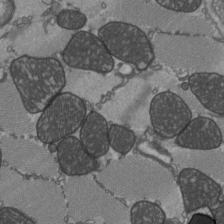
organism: C57BL Mouse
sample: Heart